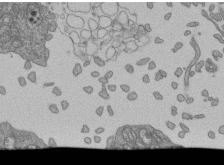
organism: Human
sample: Retinal organoid Rod and Cone cells